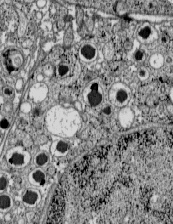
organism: C57BL Mouse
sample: Pancreatic islet